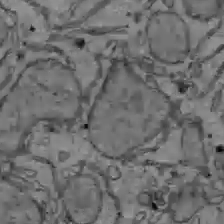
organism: C57BL Mouse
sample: Liver